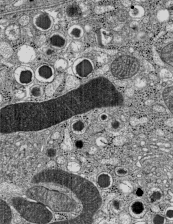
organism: C57BL Mouse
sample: Pancreatic islet